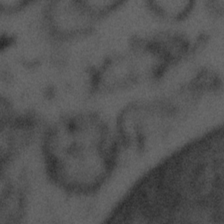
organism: Tuwongella immobilis